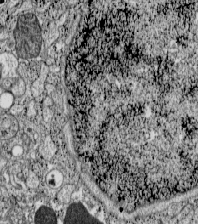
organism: C57BL Mouse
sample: Pancreatic islet